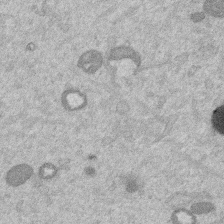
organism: Mouse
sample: Dividing mouse embryo 1 cell stage